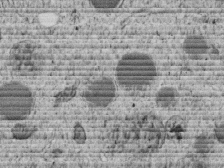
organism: C. elegans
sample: C. elegans embryo early stage